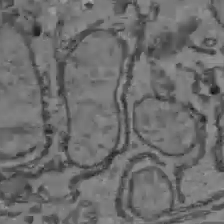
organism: C57BL Mouse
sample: Liver